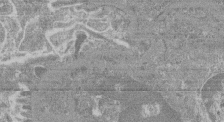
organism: Mouse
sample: Glomerulus